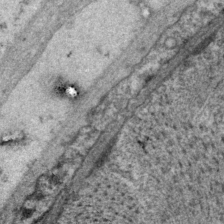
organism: P. pacificus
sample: Pharynx